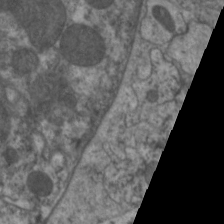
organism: C. elegans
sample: Pharynx